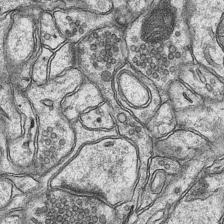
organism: Mouse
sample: CA1 Hippocampus